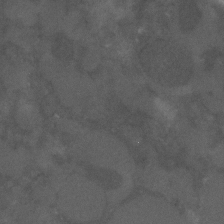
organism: C. elegans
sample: C. elegans embryo